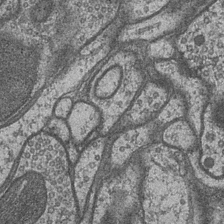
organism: Drosophila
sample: Optic medulla